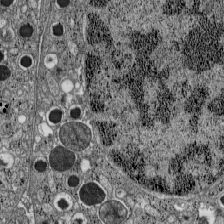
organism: C57BL Mouse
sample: Pancreatic islet